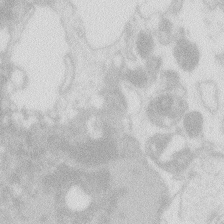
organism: Zebrafish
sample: Macrophage